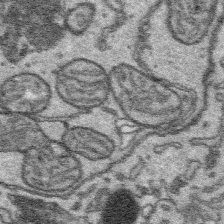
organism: Platynereis dumerilii